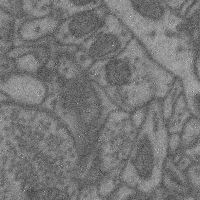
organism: Mouse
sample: Cerebral cortex